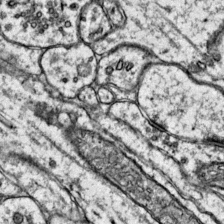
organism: Mouse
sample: Primary visual cortex